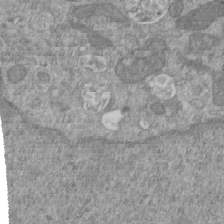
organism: Mouse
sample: ED-1 cell nuclei; centrioles